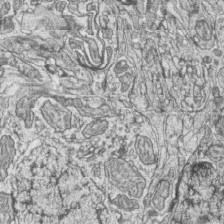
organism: Zebrafish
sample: synaptic ribbons in rod cells and cone cells